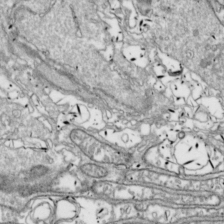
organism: Drosophila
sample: Cell division; meiosis; drosophila spermatocytes